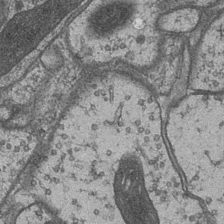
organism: Drosophila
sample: Optic medulla